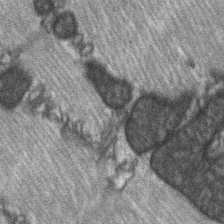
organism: C57BL Mouse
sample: Soleus